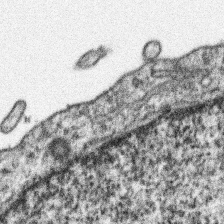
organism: Human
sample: HeLa cells